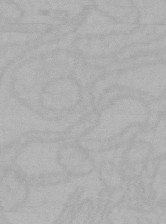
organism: Mouse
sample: Choroid plexus